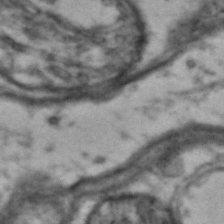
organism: Drosophila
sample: Brain